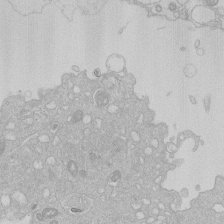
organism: Human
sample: Macrophage cells